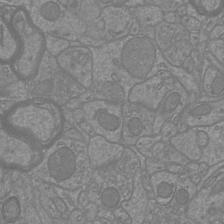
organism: Mouse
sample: Cortical neurons